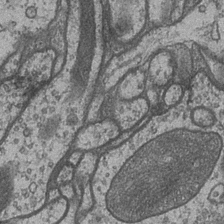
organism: Drosophila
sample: Optic medulla